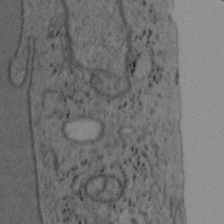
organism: Human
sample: HeLa cells